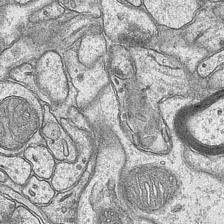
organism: Mouse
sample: CA1 Hippocampus